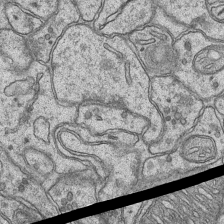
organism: Mouse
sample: CA1 Hippocampus